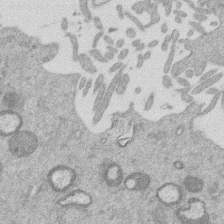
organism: Mouse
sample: Dividing mouse embryo 1 cell stage